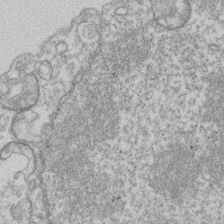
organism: Mouse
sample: T cell stromal cell synapse